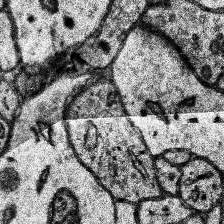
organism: Human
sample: Temporal Lobe